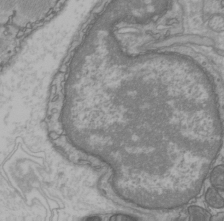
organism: C57BL Mouse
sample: Heart